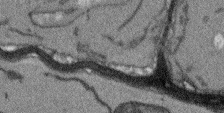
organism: Arabidopsis thaliana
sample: Root tip